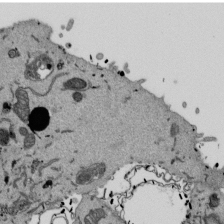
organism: Mouse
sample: ED-1 cell nuclei; centrioles